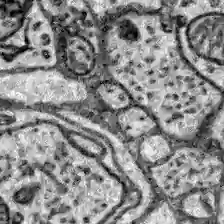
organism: Zebrafish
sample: Brain